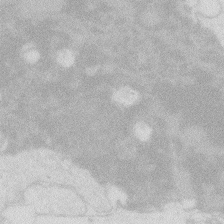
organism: Zebrafish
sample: Macrophage